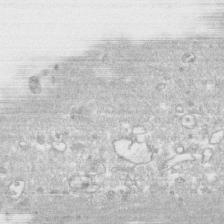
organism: Human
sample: CRL-1474